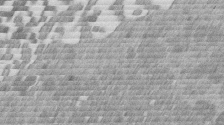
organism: Mouse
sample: Dividing mouse embryo 1 cell stage